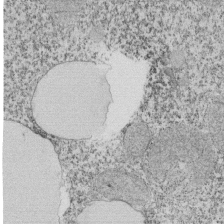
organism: Tetrahymena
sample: Cilia in tetrahymena